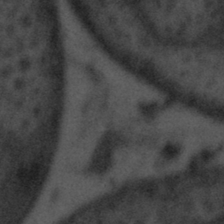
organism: Tuwongella immobilis